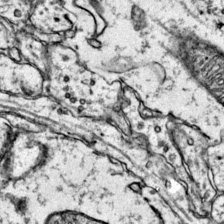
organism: Mouse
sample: Primary visual cortex